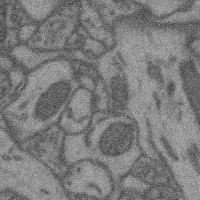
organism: Mouse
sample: Cerebral cortex